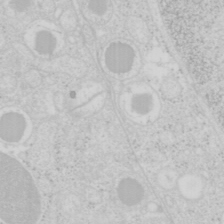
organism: Mouse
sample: Pancreas